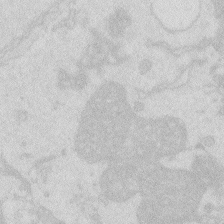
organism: Zebrafish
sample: Macrophage